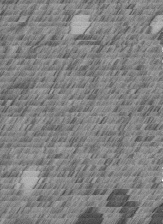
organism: C. elegans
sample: C. elegans embryo early stage